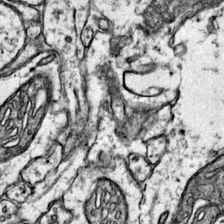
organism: Mouse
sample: Primary visual cortex